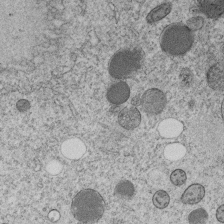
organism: C. elegans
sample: C. elegans embryo early stage